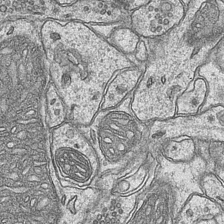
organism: Mouse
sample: CA1 Hippocampus